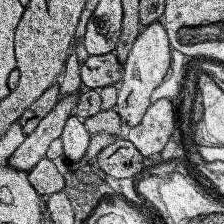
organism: Human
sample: Temporal Lobe